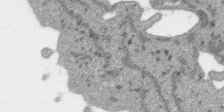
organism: Human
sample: Lung epithelial cells infected with SARS-CoV-2